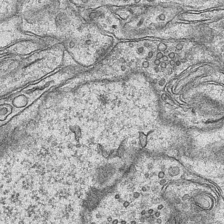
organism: Mouse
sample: CA1 Hippocampus